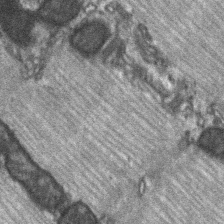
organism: C57BL Mouse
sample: Soleus